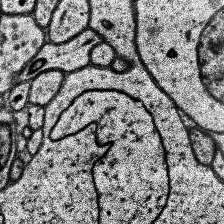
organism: Human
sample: Temporal Lobe